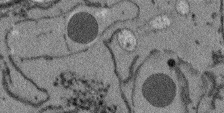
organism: Arabidopsis thaliana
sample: Root tip